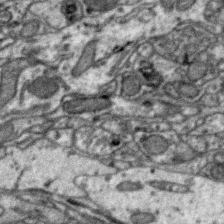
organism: Zebra finch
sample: Brain